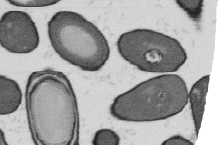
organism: B. subtilis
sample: Bacterial spore